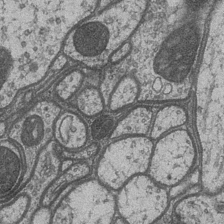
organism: Drosophila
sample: Optic medulla